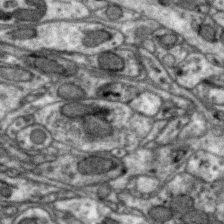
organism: Zebra finch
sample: Brain